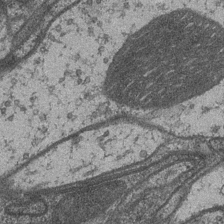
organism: Drosophila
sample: Optic medulla